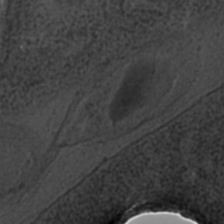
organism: C. elegans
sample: C. elegans embryo